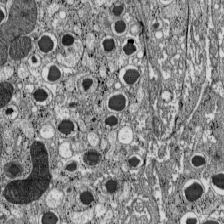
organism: C57BL Mouse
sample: Pancreatic islet